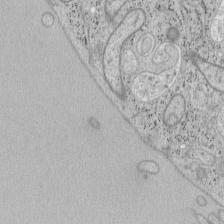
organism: Mouse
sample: OT-I killer T cells with ID8 ovarian cancer cells